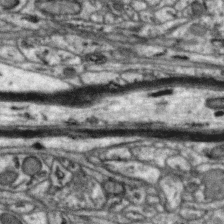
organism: Zebra finch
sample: Brain